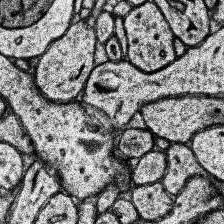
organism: Human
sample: Temporal Lobe